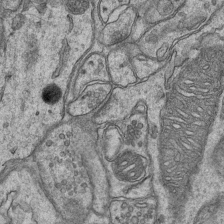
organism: Mouse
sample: CA1 Hippocampus